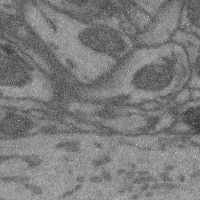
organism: Mouse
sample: Cerebral cortex